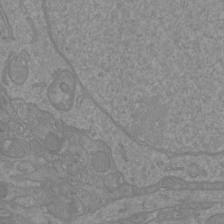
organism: Mouse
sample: Cortical neurons